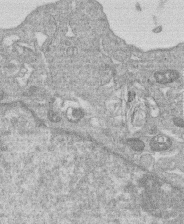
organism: Human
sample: Macrophage cells